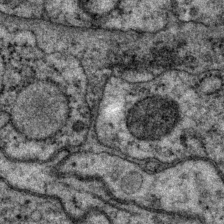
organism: P. pacificus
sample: Pharynx